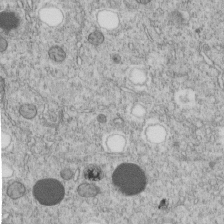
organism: C. elegans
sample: C. elegans embryo early stage